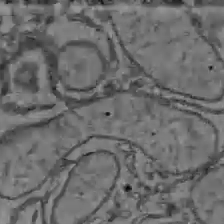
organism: C57BL Mouse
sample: Liver